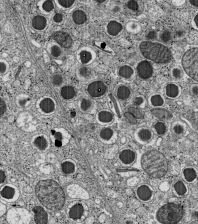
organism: C57BL Mouse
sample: Pancreatic islet